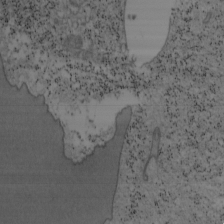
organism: Mouse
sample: OT-I killer T cells with ID8 ovarian cancer cells